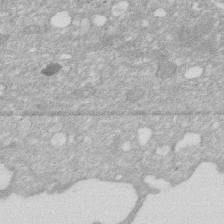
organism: Human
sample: HIV infected U937 cells